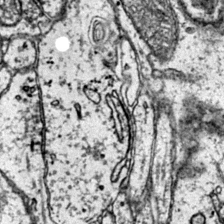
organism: Mouse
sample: Primary visual cortex